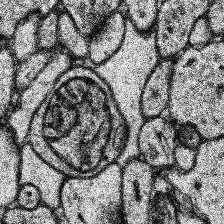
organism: Human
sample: Temporal Lobe